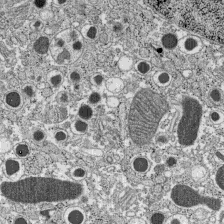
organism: C57BL Mouse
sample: Pancreatic islet